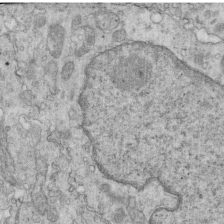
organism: Mouse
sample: Multiciliated cells